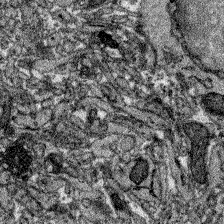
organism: Zebrafish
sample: Larval olfactory bulb